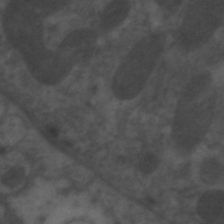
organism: C. elegans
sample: Pharynx